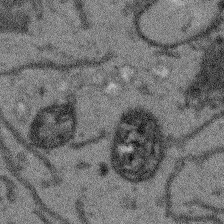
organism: Arabidopsis thaliana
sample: Root tip